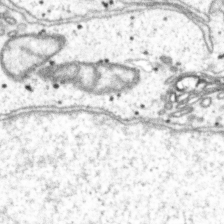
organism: Human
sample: HeLa cells